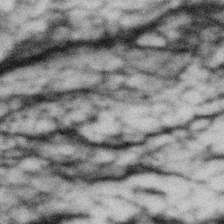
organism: Gemmata obscuriglobus